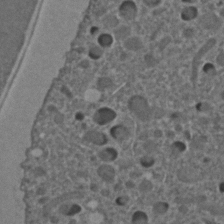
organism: C. elegans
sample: C. elegans embryo